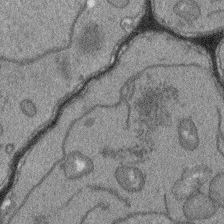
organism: Arabidopsis thaliana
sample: Root tip